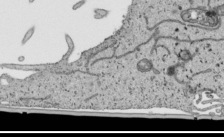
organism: Human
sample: Mitochondria in HCT116 cells